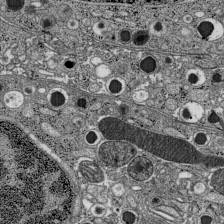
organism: C57BL Mouse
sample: Pancreatic islet